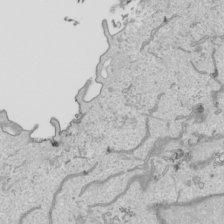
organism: Human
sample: Mitochondria in HCT116 cells